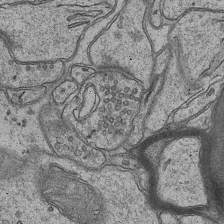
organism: Mouse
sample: CA1 Hippocampus